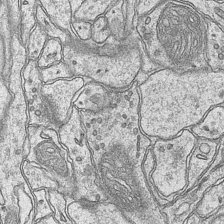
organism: Mouse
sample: CA1 Hippocampus